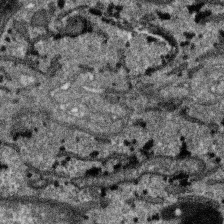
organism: Human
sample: Lung epithelial cells infected with SARS-CoV-2